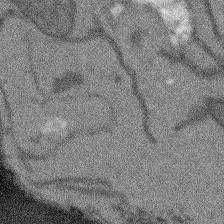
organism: Arabidopsis thaliana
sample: Root tip